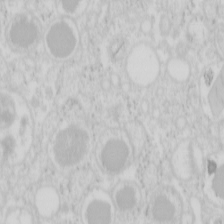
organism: Mouse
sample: Pancreas